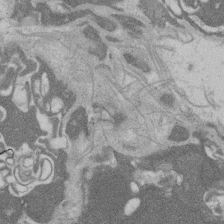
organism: Rat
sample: Salivary granule